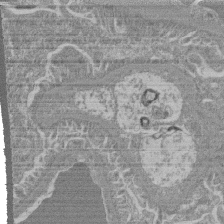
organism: Mouse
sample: Glomerulus